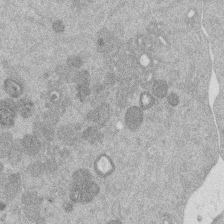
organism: Mouse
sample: Dividing mouse embryo 1 cell stage